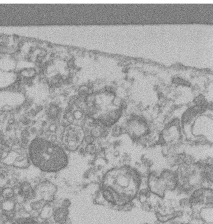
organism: Mouse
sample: T cell stromal cell synapse